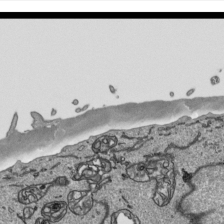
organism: Human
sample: Mitochondria in HCT116 cells